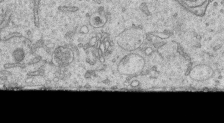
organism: Human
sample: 1205lu cells